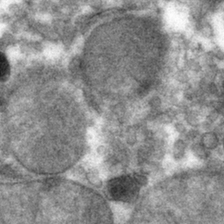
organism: Mouse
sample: Mouse hepatocytes